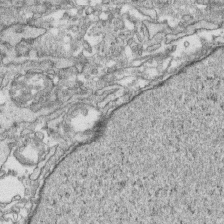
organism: Human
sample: CRL-1474